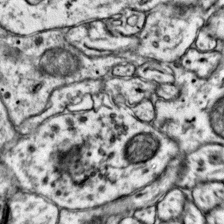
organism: Mouse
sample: Primary visual cortex